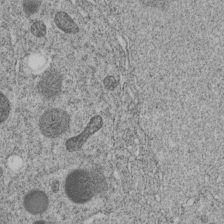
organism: C. elegans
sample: C. elegans embryo early stage